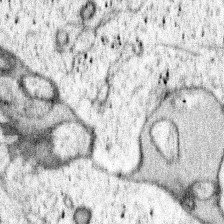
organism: Human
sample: HeLa cells